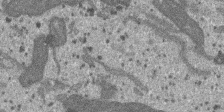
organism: Human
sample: Lung epithelial cells infected with SARS-CoV-2